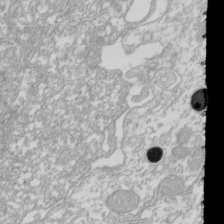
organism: Xenopus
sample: Cilia; centrioles in frog embryo cells